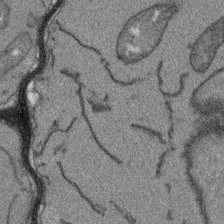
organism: Arabidopsis thaliana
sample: Root tip